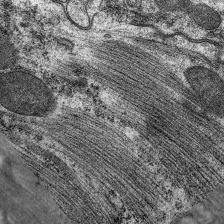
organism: C. elegans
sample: Pharynx